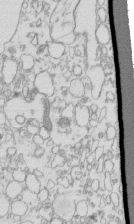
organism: Mouse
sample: Macrophages